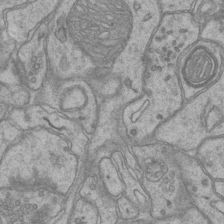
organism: Mouse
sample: CA1 Hippocampus